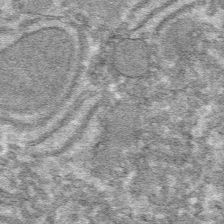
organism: Mouse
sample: Mouse hepatocytes